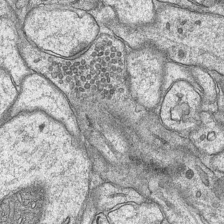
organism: Mouse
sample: CA1 Hippocampus